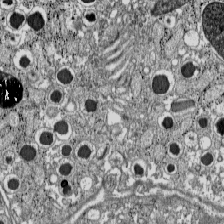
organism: C57BL Mouse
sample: Pancreatic islet